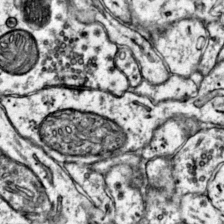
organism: Mouse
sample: Primary visual cortex